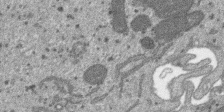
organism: Human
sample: Lung epithelial cells infected with SARS-CoV-2